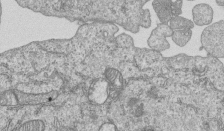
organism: Human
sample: MDA-MB-231 cells